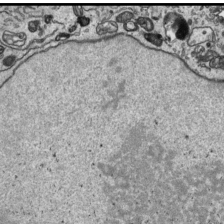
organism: Human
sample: Mitochondria in HCT116 cells